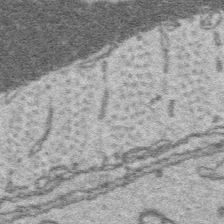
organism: Platynereis dumerilii